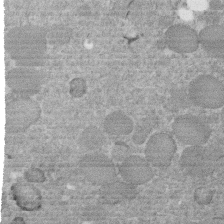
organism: C. elegans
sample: C. elegans embryo early stage